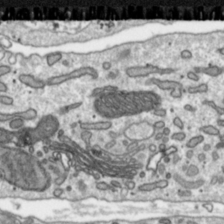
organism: Toxoplasma gondii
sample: Parasites in a vacuole inside a host cell